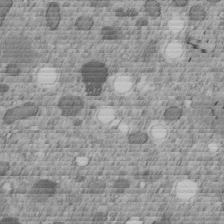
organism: C. elegans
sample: C. elegans embryo early stage